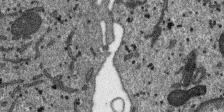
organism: Human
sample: Lung epithelial cells infected with SARS-CoV-2